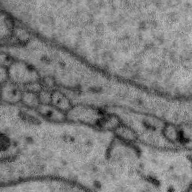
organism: Zebra finch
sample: Brain